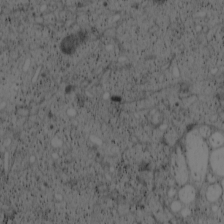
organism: African green monkey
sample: COS-7 cells